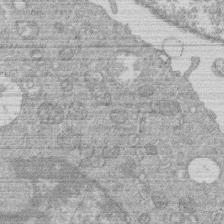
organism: Human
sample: Macrophage cells